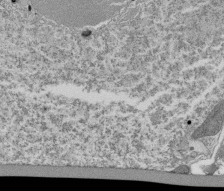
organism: Tetrahymena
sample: Cilia in tetrahymena